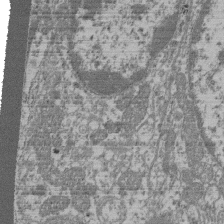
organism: Mouse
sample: Glomerulus